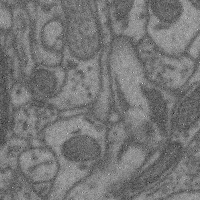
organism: Mouse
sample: Cerebral cortex